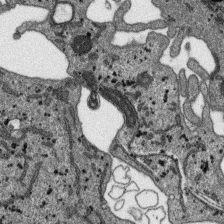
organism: Human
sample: Lung epithelial cells infected with SARS-CoV-2